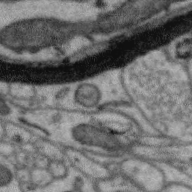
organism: Zebra finch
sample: Brain